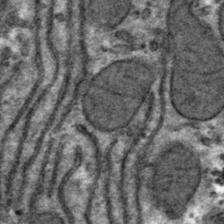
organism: Mouse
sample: Mouse hepatocytes